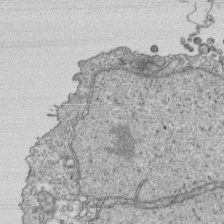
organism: Human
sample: HeLa cell HIV synapse